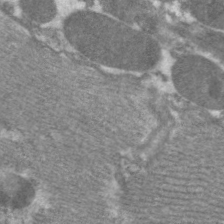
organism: C. elegans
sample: Pharynx